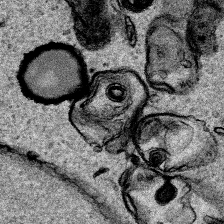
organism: Human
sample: Mitochondria in HCT116 cells